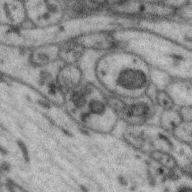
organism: Zebra finch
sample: Brain